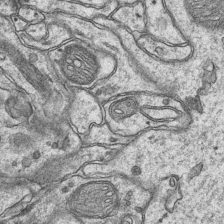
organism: Mouse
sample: CA1 Hippocampus